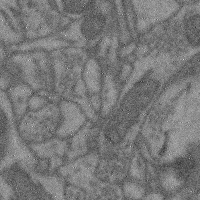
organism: Mouse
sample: Cerebral cortex